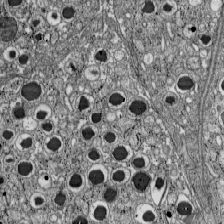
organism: C57BL Mouse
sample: Pancreatic islet